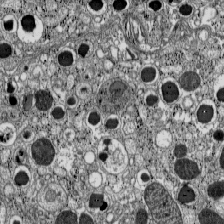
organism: C57BL Mouse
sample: Pancreatic islet